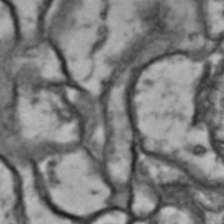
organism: Drosophila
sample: Brain